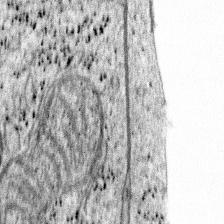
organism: Human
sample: HeLa cells